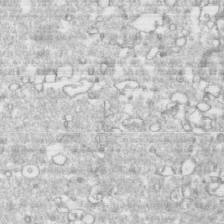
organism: Human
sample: CRL-1474